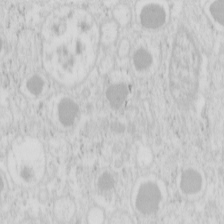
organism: Mouse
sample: Pancreas